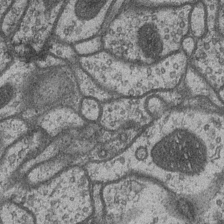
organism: Drosophila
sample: Optic medulla